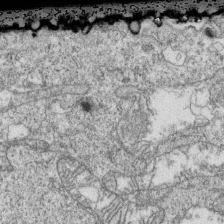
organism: Human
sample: HeLa cell HIV synapse